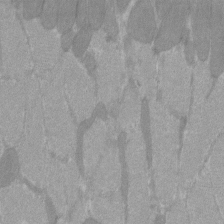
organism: C57BL Mouse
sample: Tibialis anterior muscle cell